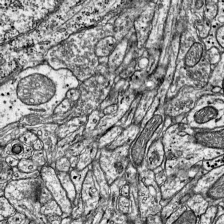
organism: Mouse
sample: Visual Cortex